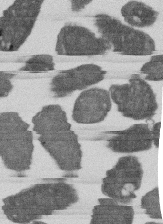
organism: E. coli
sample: Bacterial nucleoid